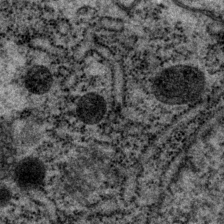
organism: P. pacificus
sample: Pharynx